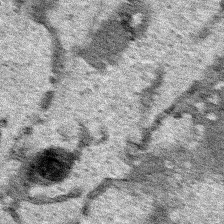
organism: Human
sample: Mitochondria in HCT116 cells